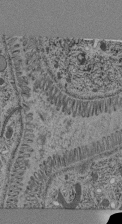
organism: C. elegans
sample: C. elegans pharynx